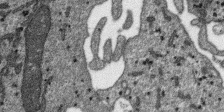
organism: Human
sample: Lung epithelial cells infected with SARS-CoV-2